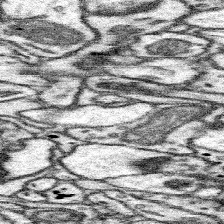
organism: Mouse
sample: Somatosensory cortex neuropil